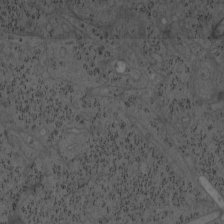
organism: Mouse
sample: OT-I killer T cells with ID8 ovarian cancer cells